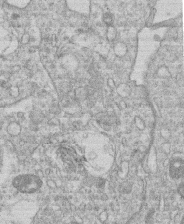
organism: Human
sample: Macrophage cells